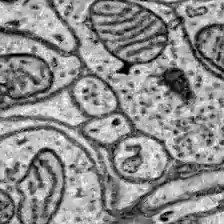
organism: Zebrafish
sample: Brain